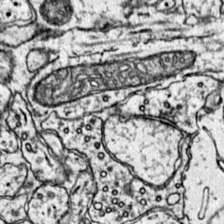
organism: Mouse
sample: Primary visual cortex